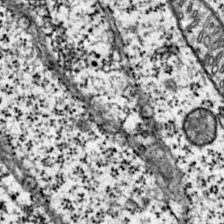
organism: Mouse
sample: Primary visual cortex